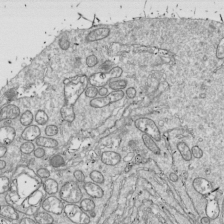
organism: Drosophila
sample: Cell division; meiosis; drosophila spermatocytes